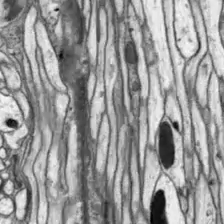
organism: Drosophila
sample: Optic lobe